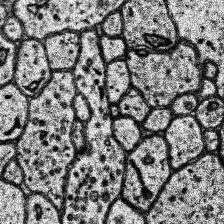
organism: Human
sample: Temporal Lobe